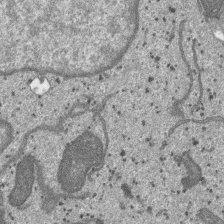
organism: Human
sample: Lung epithelial cells infected with SARS-CoV-2